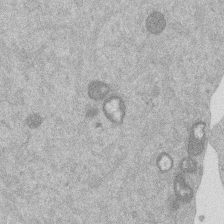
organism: Mouse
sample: Dividing mouse embryo 1 cell stage